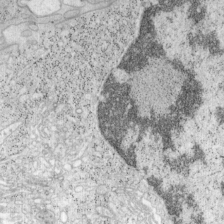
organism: Mouse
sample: OT-I killer T cells with ID8 ovarian cancer cells